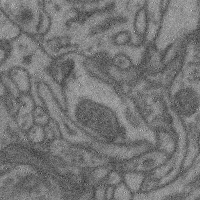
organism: Mouse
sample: Cerebral cortex